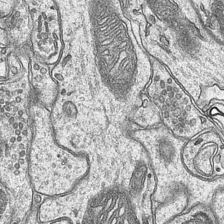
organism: Mouse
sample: CA1 Hippocampus